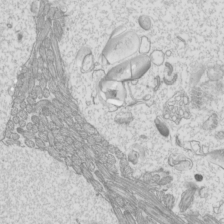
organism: Mouse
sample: Cilia; mouse epididymis